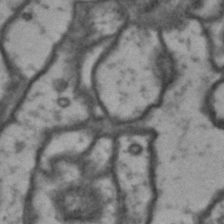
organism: Drosophila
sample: Brain